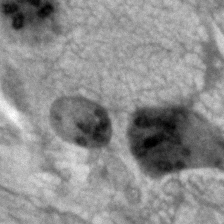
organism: Human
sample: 1205lu cells